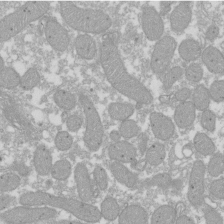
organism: Xenopus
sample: Cilia; centrioles in frog embryo cells